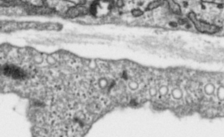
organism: Toxoplasma gondii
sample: Parasites in a vacuole inside a host cell